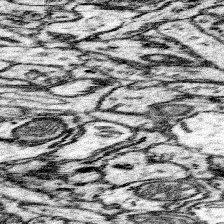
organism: Mouse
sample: Somatosensory cortex neuropil